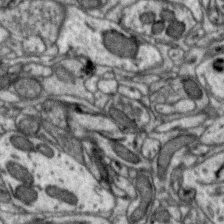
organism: Zebra finch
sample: Brain